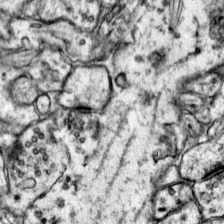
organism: Mouse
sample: Primary visual cortex